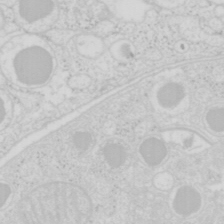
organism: Mouse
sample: Pancreas